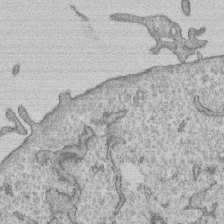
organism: Human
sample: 1205lu cells